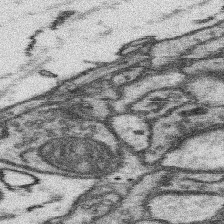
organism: Mouse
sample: Somatosensory cortex neuropil